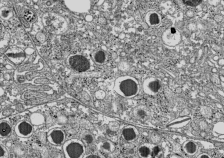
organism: C57BL Mouse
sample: Pancreatic islet